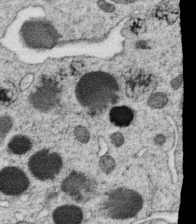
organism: C. elegans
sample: C. elegans oocyte; sperm cells